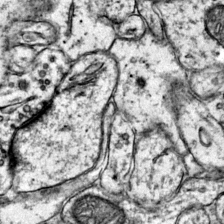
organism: Mouse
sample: Primary visual cortex